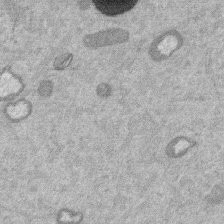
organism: Mouse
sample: Dividing mouse embryo 1 cell stage